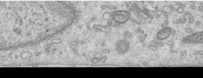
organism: Human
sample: Centriole in RPE cells